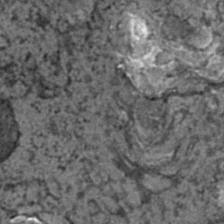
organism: C. elegans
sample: C. elegans embryo